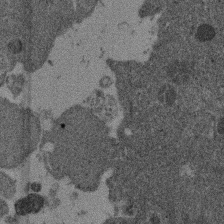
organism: Mouse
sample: Dividing mouse embryo 1 cell stage